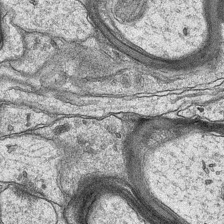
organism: Mouse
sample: CA1 Hippocampus